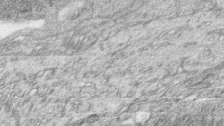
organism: Zebrafish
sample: synaptic ribbons in rod cells and cone cells